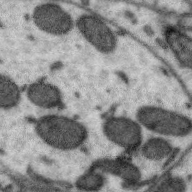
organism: Zebra finch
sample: Brain